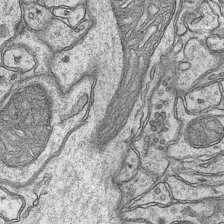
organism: Mouse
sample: CA1 Hippocampus